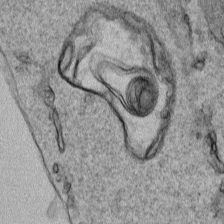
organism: Human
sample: Mitochondria in HCT116 cells